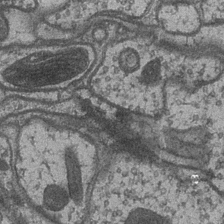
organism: Drosophila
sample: Optic medulla